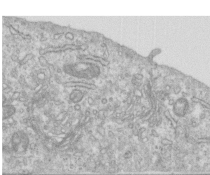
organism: Human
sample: Centriole in RPE cells